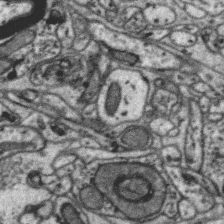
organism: Zebra finch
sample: Brain